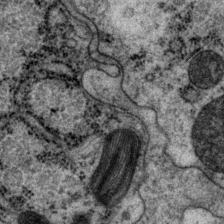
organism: P. pacificus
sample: Pharynx